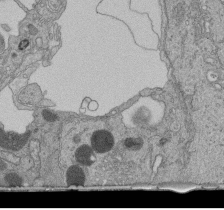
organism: Human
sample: Retinal organoid Rod and Cone cells